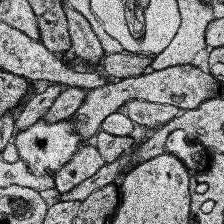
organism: Human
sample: Temporal Lobe